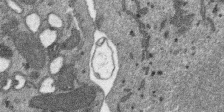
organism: Human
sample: Lung epithelial cells infected with SARS-CoV-2